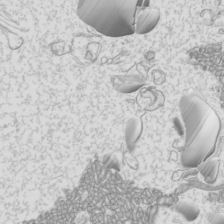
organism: Mouse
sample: Cilia; mouse epididymis